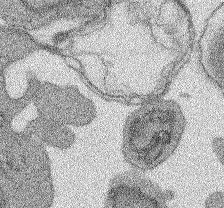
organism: Human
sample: HeLa cells